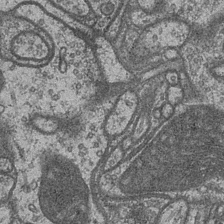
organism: Drosophila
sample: Optic medulla